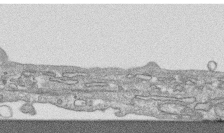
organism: Human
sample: CRL-1474